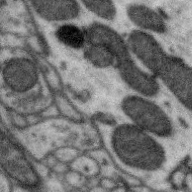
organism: Zebra finch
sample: Brain